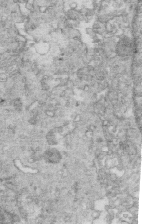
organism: Mouse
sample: Multiciliated cells